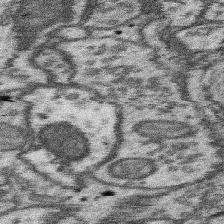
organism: Mouse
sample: Somatosensory cortex neuropil